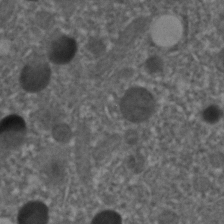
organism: C. elegans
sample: C. elegans embryo